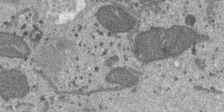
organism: Human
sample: Lung epithelial cells infected with SARS-CoV-2